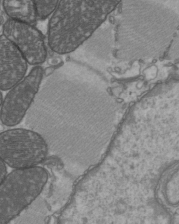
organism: C57BL Mouse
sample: Heart